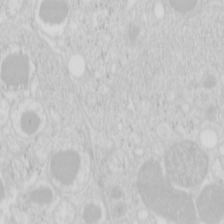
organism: Mouse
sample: Pancreas